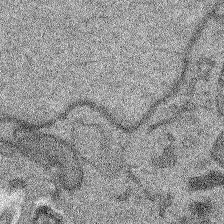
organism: Human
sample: HeLa cells